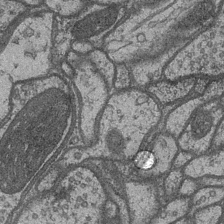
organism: Drosophila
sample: Optic medulla